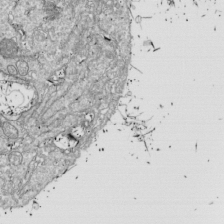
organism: Drosophila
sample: Cell division; meiosis; drosophila spermatocytes